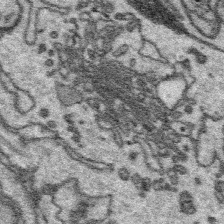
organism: Platynereis dumerilii